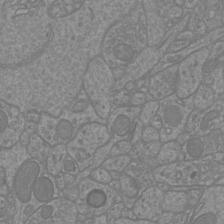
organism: Mouse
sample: Cortical neurons